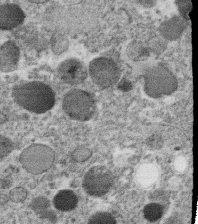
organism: C. elegans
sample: C. elegans oocyte; sperm cells